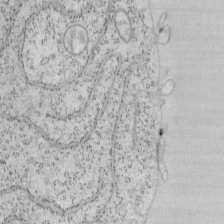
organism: Mouse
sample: OT-I killer T cells with ID8 ovarian cancer cells